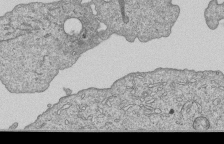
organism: Human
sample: MDA-MB-231 cells